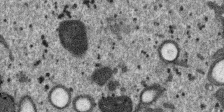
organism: Human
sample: Lung epithelial cells infected with SARS-CoV-2